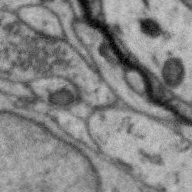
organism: Zebra finch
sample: Brain